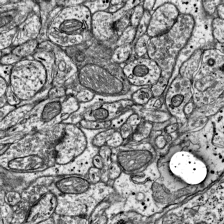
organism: Mouse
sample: Visual Cortex